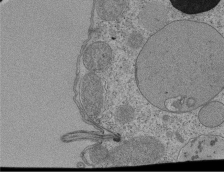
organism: Tetrahymena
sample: Cilia in tetrahymena